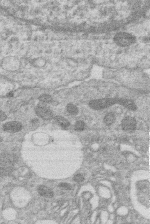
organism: Human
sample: Macrophage cells